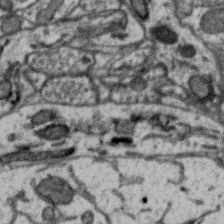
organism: Zebra finch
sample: Brain